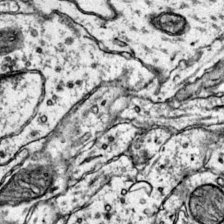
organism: Mouse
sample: Primary visual cortex